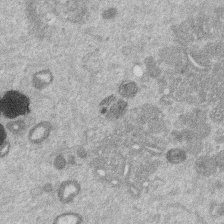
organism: Mouse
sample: Dividing mouse embryo 1 cell stage